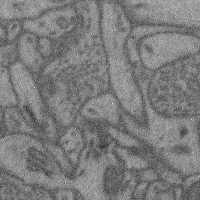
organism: Mouse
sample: Cerebral cortex